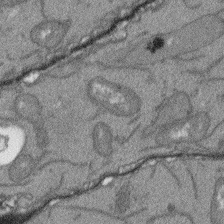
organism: Arabidopsis thaliana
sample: Root tip